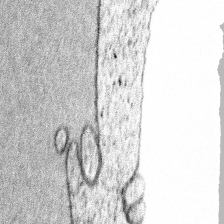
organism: Human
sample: HeLa cells